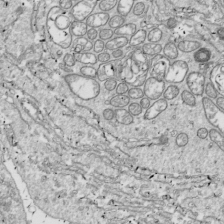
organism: Drosophila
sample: Cell division; meiosis; drosophila spermatocytes